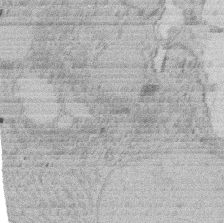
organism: Rat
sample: Salivary granule